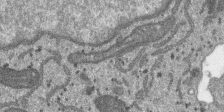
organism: Human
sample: Lung epithelial cells infected with SARS-CoV-2